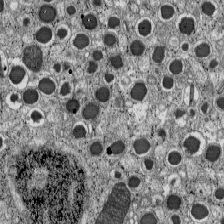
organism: C57BL Mouse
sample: Pancreatic islet